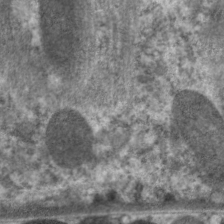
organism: C. elegans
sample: Pharynx